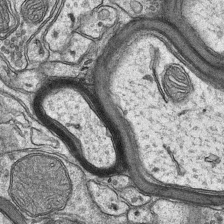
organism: Mouse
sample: CA1 Hippocampus